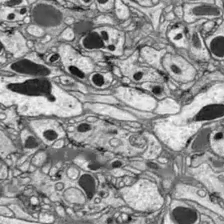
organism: Drosophila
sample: Optic lobe